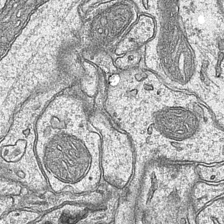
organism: Mouse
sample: CA1 Hippocampus